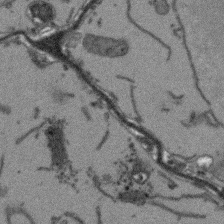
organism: Arabidopsis thaliana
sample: Root tip